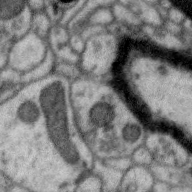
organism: Zebra finch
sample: Brain